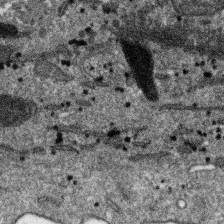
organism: Human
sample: Lung epithelial cells infected with SARS-CoV-2